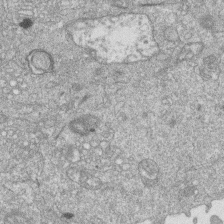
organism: Human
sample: HeLa cell HIV synapse